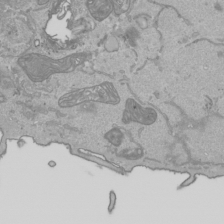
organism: Human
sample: Mitochondria in HCT116 cells